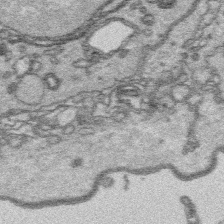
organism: Platynereis dumerilii